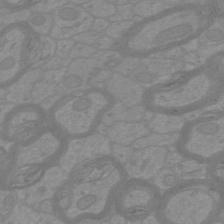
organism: Mouse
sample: Cortical neurons